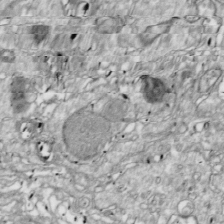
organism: Drosophila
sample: Cell division; meiosis; drosophila spermatocytes